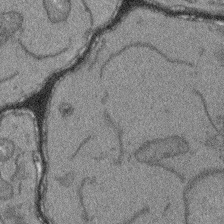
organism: Arabidopsis thaliana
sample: Root tip